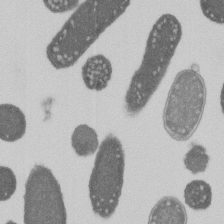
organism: E. coli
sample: Bacterial nucleoid